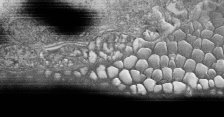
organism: Tetrahymena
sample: Cilia in tetrahymena